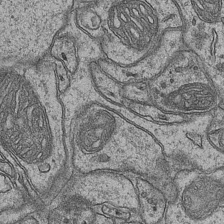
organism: Mouse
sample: CA1 Hippocampus